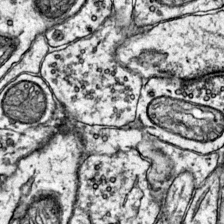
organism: Mouse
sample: Primary visual cortex